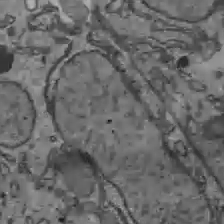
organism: C57BL Mouse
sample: Liver